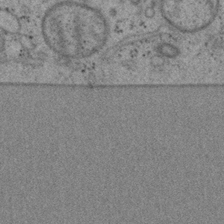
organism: Human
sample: HeLa cells